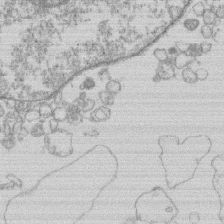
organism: Human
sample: Macrophage cells